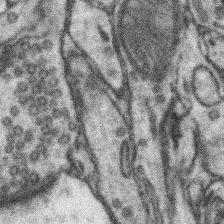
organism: Mouse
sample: Somatosensory cortex neuropil